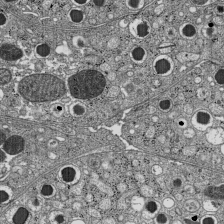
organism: C57BL Mouse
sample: Pancreatic islet